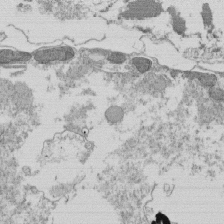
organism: Tetrahymena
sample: Cilia in tetrahymena